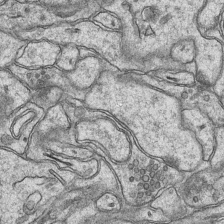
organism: Mouse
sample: CA1 Hippocampus